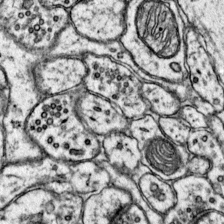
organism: Mouse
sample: Primary visual cortex